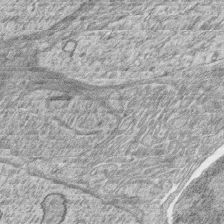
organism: Zebrafish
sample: synaptic ribbons in rod cells and cone cells